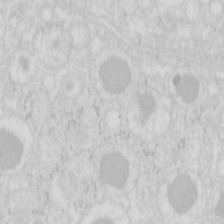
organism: Mouse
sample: Pancreas